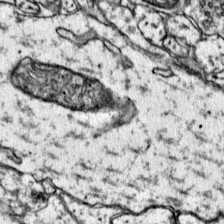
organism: Mouse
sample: Primary visual cortex